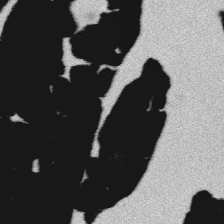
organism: Platynereis dumerilii